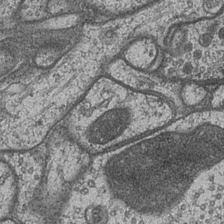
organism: Drosophila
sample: Optic medulla